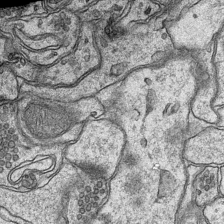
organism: Mouse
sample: CA1 Hippocampus